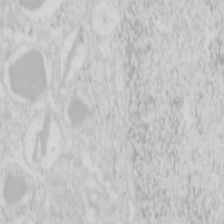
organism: Mouse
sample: Pancreas